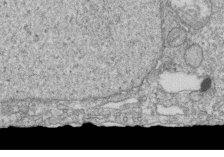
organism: Human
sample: HeLa cell HIV synapse